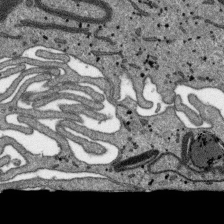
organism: Human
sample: Lung epithelial cells, uninfected (mock) control